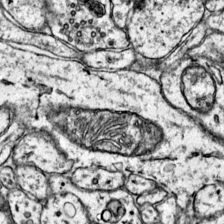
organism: Mouse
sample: Primary visual cortex